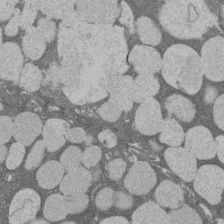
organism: Rat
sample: Salivary granule